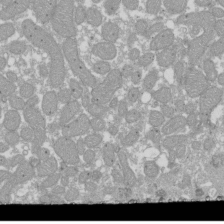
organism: Xenopus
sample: Cilia; centrioles in frog embryo cells